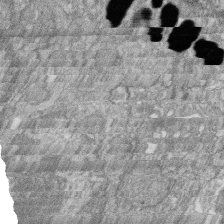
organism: Zebrafish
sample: Cilia; retinal pigment epithelium